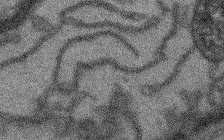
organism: Arabidopsis thaliana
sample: Root tip